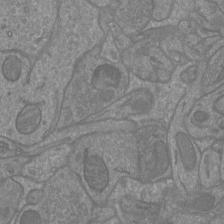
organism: Mouse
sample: Cortical neurons